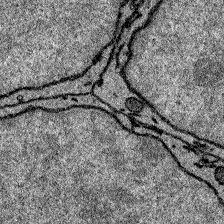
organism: Zebrafish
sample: Larval olfactory bulb